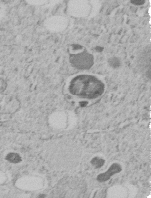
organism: C. elegans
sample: C. elegans embryo early stage